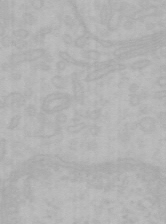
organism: Mouse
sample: Choroid plexus